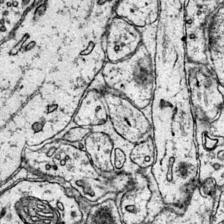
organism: Mouse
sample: Primary visual cortex